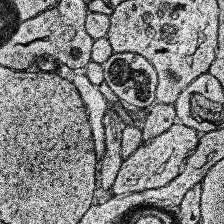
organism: Human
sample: Temporal Lobe